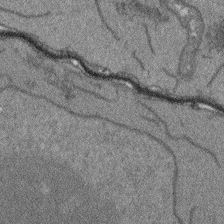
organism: Arabidopsis thaliana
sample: Root tip